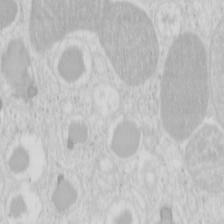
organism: Mouse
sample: Pancreas